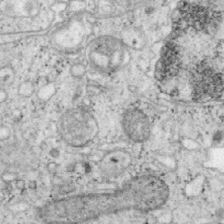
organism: Mouse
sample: OT-I killer T cells with ID8 ovarian cancer cells